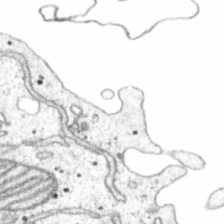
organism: Human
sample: HeLa cells